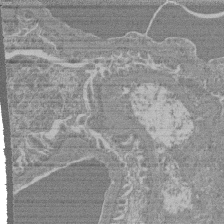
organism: Mouse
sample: Glomerulus